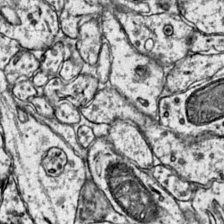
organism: Mouse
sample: Primary visual cortex